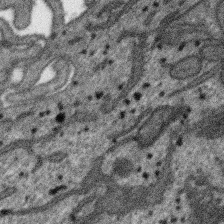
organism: Human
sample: Lung epithelial cells infected with SARS-CoV-2